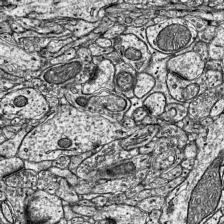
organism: Mouse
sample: Visual Cortex